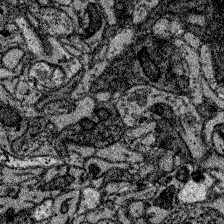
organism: Zebrafish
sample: Larval olfactory bulb